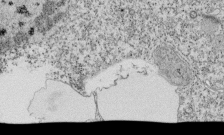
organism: Tetrahymena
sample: Cilia in tetrahymena